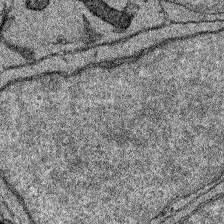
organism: Zebrafish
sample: Larval olfactory bulb